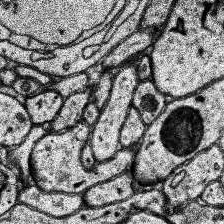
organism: Human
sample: Temporal Lobe